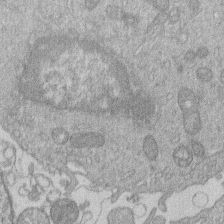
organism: Human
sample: Macrophage cells